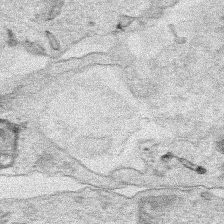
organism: Human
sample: Mitochondria in HCT116 cells